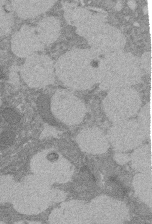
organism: Rat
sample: Salivary granule